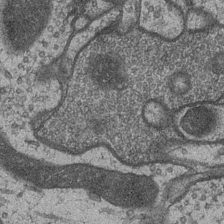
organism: Drosophila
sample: Optic medulla